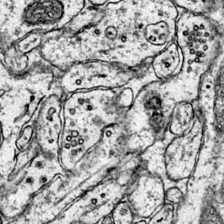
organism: Mouse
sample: Primary visual cortex